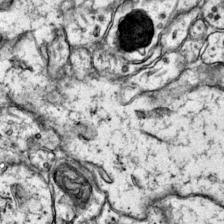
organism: Mouse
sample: Primary visual cortex